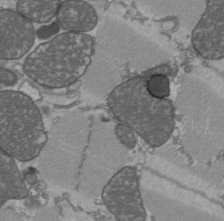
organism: C57BL Mouse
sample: Heart